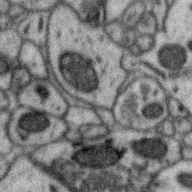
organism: Zebra finch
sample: Brain